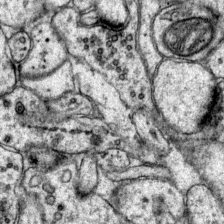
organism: Mouse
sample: Primary visual cortex